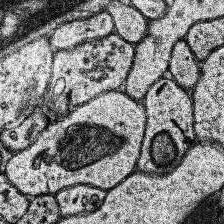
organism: Human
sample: Temporal Lobe